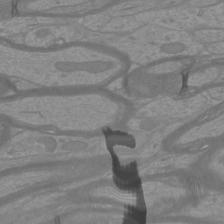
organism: Mouse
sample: Cortical neurons